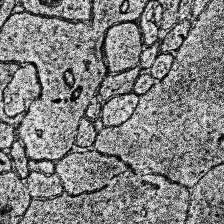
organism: Human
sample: Temporal Lobe